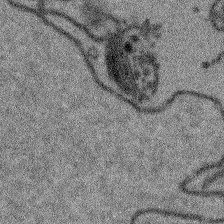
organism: Arabidopsis thaliana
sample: Root tip